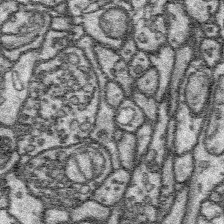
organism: Platynereis dumerilii